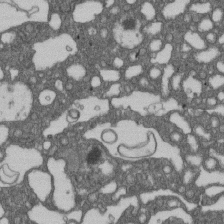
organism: Drosophila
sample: Nephrocyte